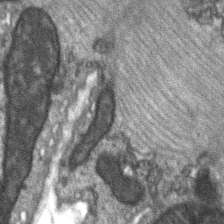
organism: C57BL Mouse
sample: Soleus